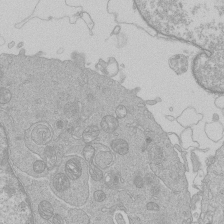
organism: Human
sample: Macrophage cells